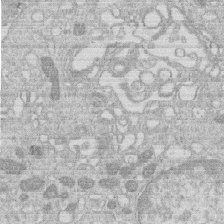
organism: Human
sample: Macrophage cells